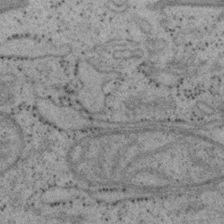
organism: Human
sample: HeLa cells